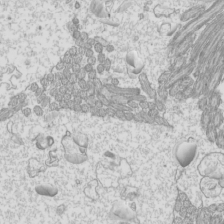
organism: Mouse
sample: Cilia; mouse epididymis